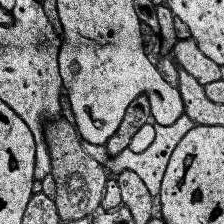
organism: Human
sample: Temporal Lobe